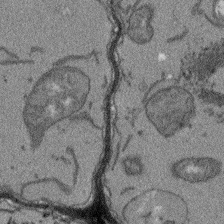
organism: Arabidopsis thaliana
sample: Root tip